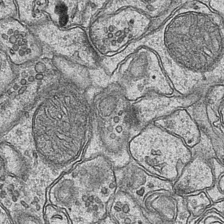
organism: Mouse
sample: CA1 Hippocampus